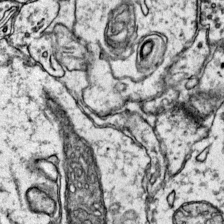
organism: Mouse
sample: Primary visual cortex